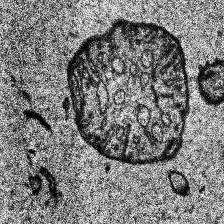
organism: Human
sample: Temporal Lobe